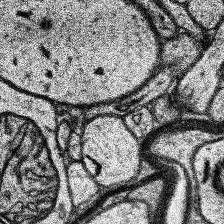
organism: Human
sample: Temporal Lobe